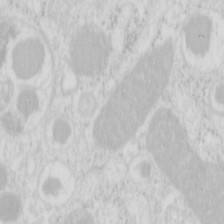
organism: Mouse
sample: Pancreas